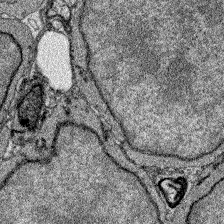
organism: Zebrafish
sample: Larval olfactory bulb